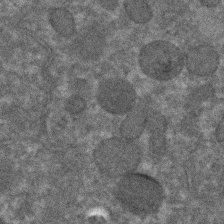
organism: C. elegans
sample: C. elegans embryo